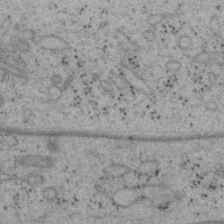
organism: Human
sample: HeLa cells